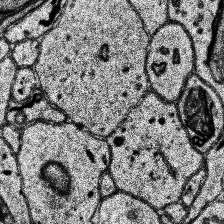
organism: Human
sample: Temporal Lobe